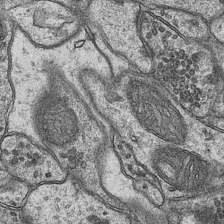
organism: Mouse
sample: CA1 Hippocampus